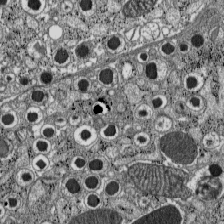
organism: C57BL Mouse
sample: Pancreatic islet